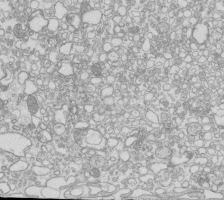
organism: Mouse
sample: Macrophages